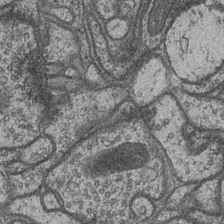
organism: Drosophila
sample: Optic medulla